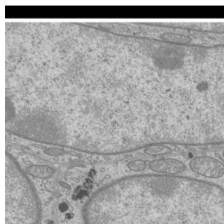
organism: Mouse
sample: Cilia; mouse epididymis